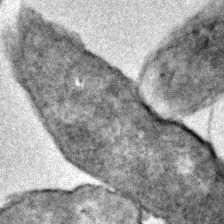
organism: E. coli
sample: E. Coli Bacteria